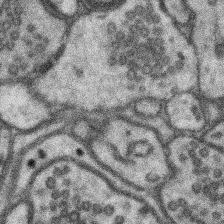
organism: Mouse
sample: Somatosensory cortex neuropil